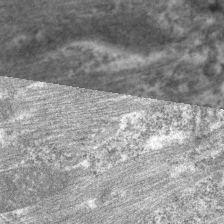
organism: C. elegans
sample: Pharynx